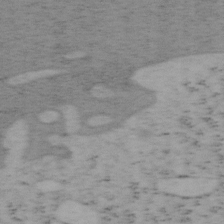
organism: Mouse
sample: OT-I killer T cells with ID8 ovarian cancer cells